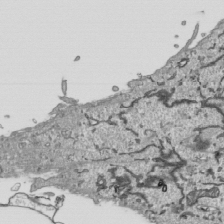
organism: Human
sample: Mitochondria in HCT116 cells